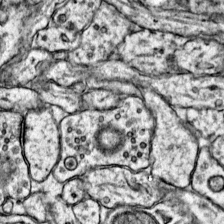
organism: Mouse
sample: Primary visual cortex